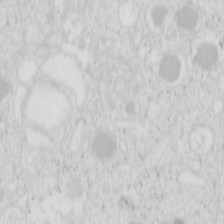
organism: Mouse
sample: Pancreas